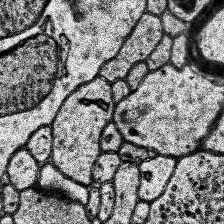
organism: Human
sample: Temporal Lobe